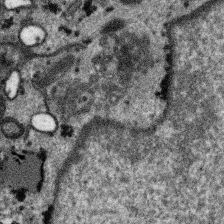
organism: Human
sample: Lung epithelial cells infected with SARS-CoV-2